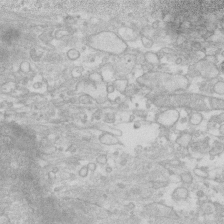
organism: Human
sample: Fibroblast cells